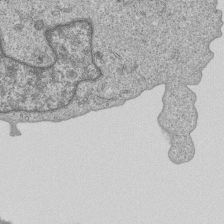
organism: Human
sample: MDA-MB-231 cells